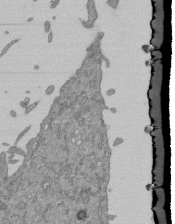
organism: Mouse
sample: ED-1 cell nuclei; centrioles